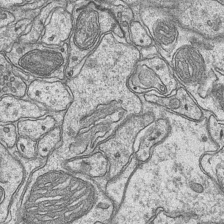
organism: Mouse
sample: CA1 Hippocampus